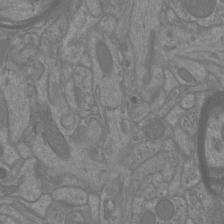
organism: Mouse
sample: Cortical neurons